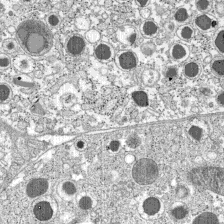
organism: C57BL Mouse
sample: Pancreatic islet